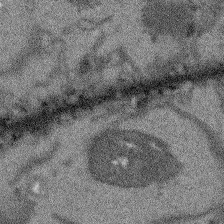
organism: Arabidopsis thaliana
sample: Root tip